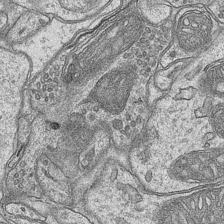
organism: Mouse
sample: CA1 Hippocampus